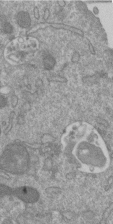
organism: Mouse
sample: ED-1 cell nuclei; centrioles